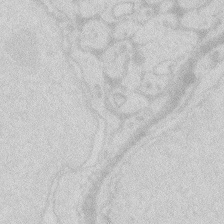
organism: Zebrafish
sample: Macrophage